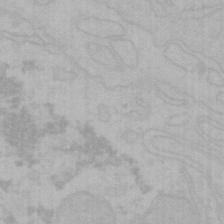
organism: Mouse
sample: Choroid plexus